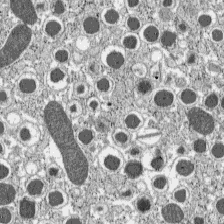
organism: C57BL Mouse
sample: Pancreatic islet